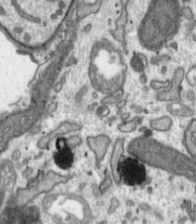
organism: Toxoplasma gondii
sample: Parasites in a vacuole inside a host cell